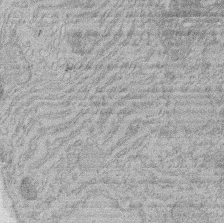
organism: Rat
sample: Salivary granule